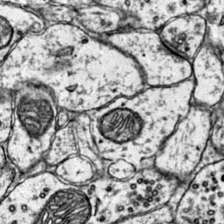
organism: Mouse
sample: Primary visual cortex